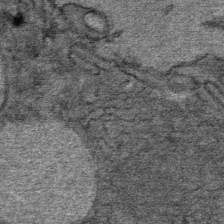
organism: Mouse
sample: Mouse Salivary gland